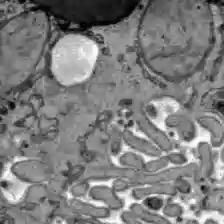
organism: C57BL Mouse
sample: Liver